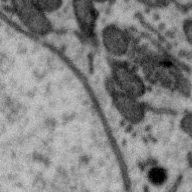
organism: Zebra finch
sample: Brain